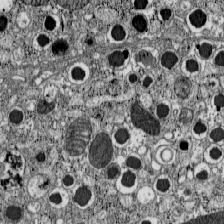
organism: C57BL Mouse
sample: Pancreatic islet